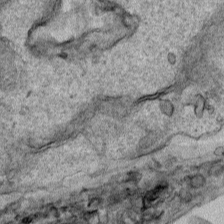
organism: Human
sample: Mitochondria in HCT116 cells